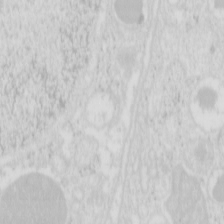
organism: Mouse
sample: Pancreas